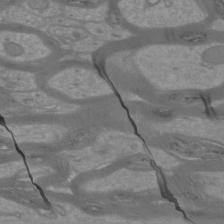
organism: Mouse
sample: Cortical neurons